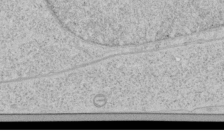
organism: Human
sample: Mitochondria in HCT116 cells